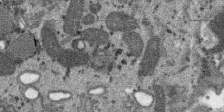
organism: Human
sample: Lung epithelial cells infected with SARS-CoV-2